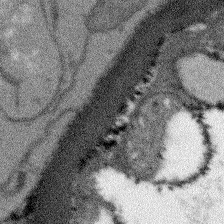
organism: Arabidopsis thaliana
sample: Root tip